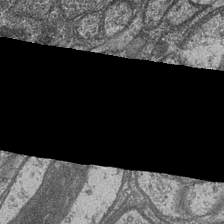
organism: Drosophila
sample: Optic medulla